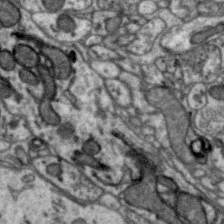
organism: Zebra finch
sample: Brain